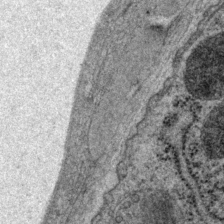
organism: P. pacificus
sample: Pharynx